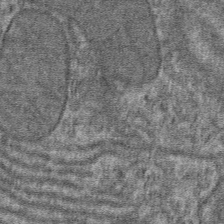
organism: Mouse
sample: Mouse hepatocytes